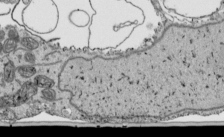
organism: Human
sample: Mitochondria in HCT116 cells